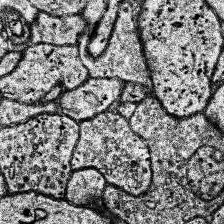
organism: Human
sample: Temporal Lobe